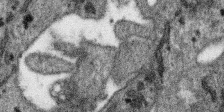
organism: Human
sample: Lung epithelial cells infected with SARS-CoV-2